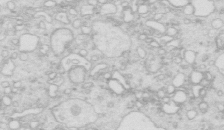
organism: Mouse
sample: Multiciliated cells